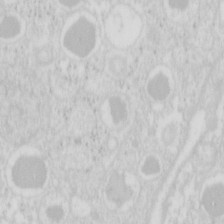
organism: Mouse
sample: Pancreas